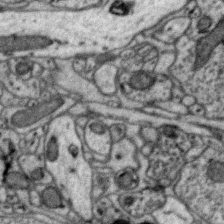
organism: Zebra finch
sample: Brain